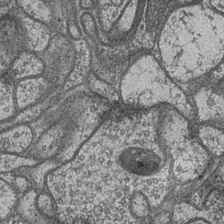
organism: Drosophila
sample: Optic medulla